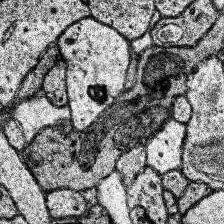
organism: Human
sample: Temporal Lobe